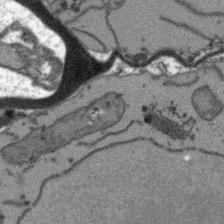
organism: Arabidopsis thaliana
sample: Root tip